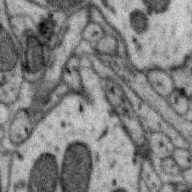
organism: Zebra finch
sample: Brain